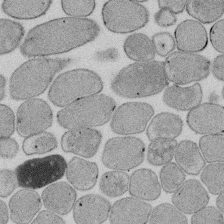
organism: E. coli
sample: Bacterial nucleoid